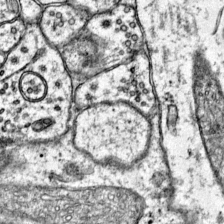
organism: Mouse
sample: Primary visual cortex